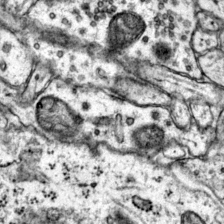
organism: Mouse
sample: Primary visual cortex